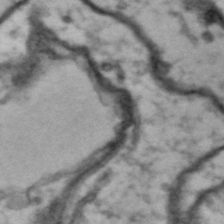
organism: Drosophila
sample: Brain